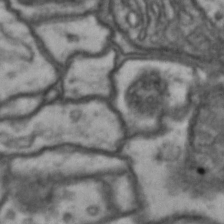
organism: Drosophila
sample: Brain